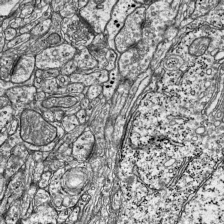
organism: Mouse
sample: Visual Cortex